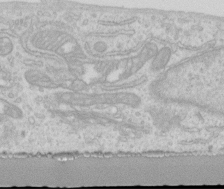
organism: Human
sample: Centriole in RPE cells